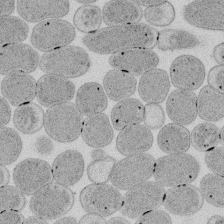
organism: E. coli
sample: Bacterial nucleoid